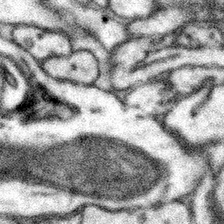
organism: Mouse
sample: Somatosensory cortex neuropil